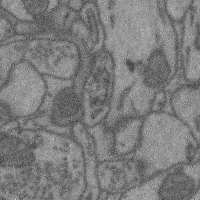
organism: Mouse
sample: Cerebral cortex